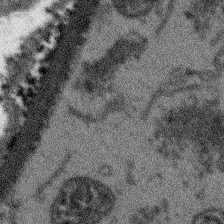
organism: Arabidopsis thaliana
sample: Root tip